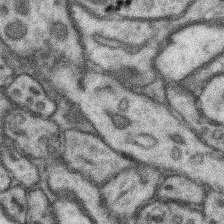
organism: Mouse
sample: Somatosensory cortex neuropil